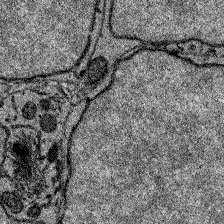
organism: Zebrafish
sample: Larval olfactory bulb